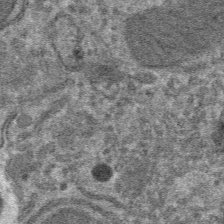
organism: Mouse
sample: Mouse hepatocytes